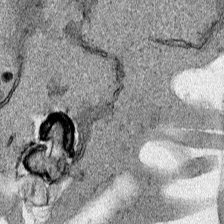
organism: Human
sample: Mitochondria in HCT116 cells